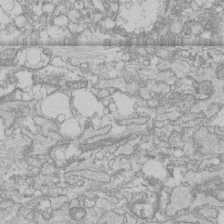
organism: Human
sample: CRL-1474